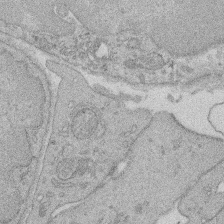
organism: Rat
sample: Salivary granule